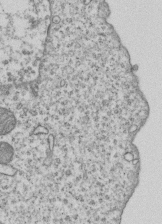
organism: Human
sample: MDA-MB-231 cells